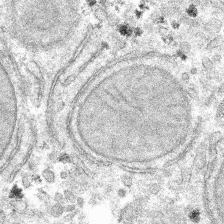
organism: Mouse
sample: Mouse hepatocytes